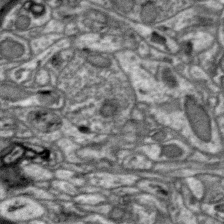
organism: Zebra finch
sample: Brain